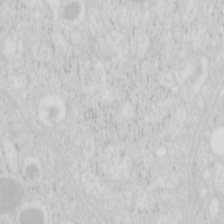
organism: Mouse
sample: Pancreas